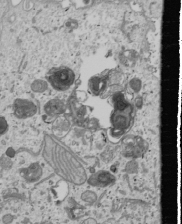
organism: Human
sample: Mitochondria in U2OS cells